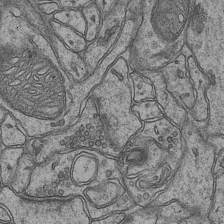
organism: Mouse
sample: CA1 Hippocampus